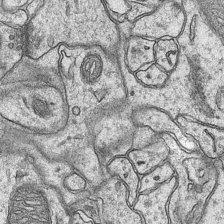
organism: Mouse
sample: CA1 Hippocampus